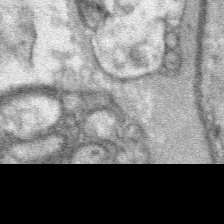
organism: Mouse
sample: Mouse Salivary gland